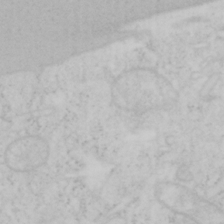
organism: Mouse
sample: OT-I killer T cells with ID8 ovarian cancer cells